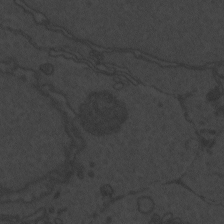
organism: Zebrafish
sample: Macrophage infected with Toxoplasma gondii